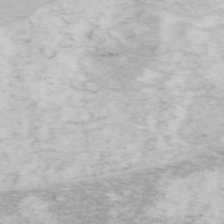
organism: Mouse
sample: OT-I killer T cells with ID8 ovarian cancer cells